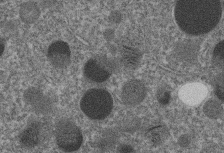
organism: C. elegans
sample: C. elegans embryo early stage